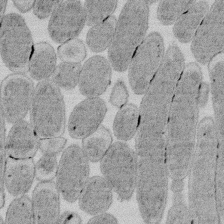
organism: E. coli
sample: Bacterial nucleoid